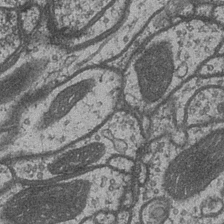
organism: Drosophila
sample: Optic medulla